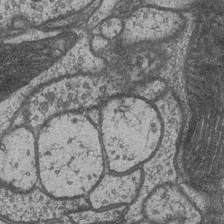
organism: Drosophila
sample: Optic medulla